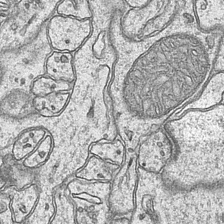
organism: Mouse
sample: CA1 Hippocampus